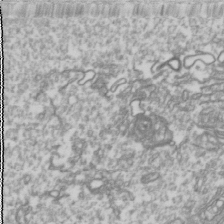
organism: Drosophila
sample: Cell division; meiosis; drosophila spermatocytes